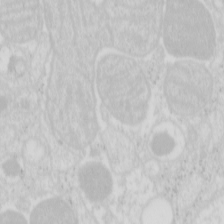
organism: Mouse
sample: Pancreas